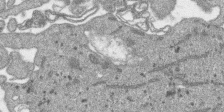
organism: Human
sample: Lung epithelial cells infected with SARS-CoV-2